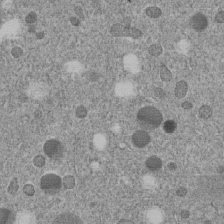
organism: C. elegans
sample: C. elegans embryo early stage